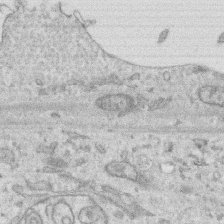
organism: Human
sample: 1205lu cells